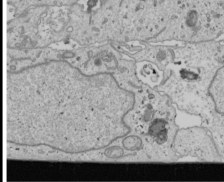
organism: Human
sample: Mitochondria in U2OS cells